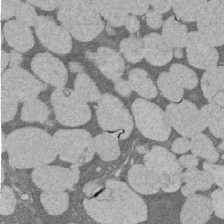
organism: Rat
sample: Salivary granule